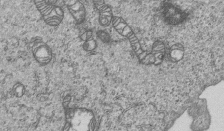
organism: Human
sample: MDA-MB-231 cells